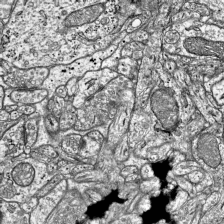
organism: Mouse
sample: Visual Cortex